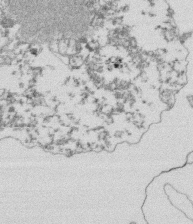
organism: Human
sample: HeLa cell HIV synapse